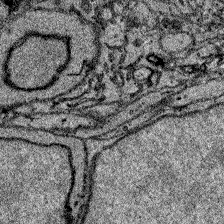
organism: Zebrafish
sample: Larval olfactory bulb